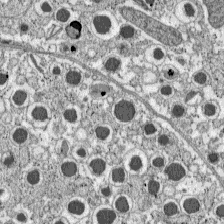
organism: C57BL Mouse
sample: Pancreatic islet